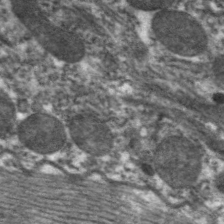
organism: C. elegans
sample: Pharynx